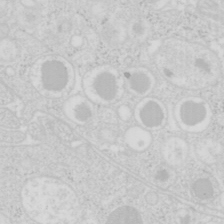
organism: Mouse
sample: Pancreas